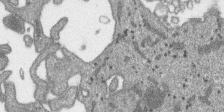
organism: Human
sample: Lung epithelial cells infected with SARS-CoV-2